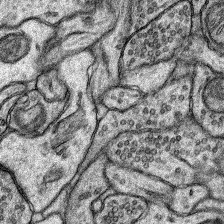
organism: Rat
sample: Hippocampus